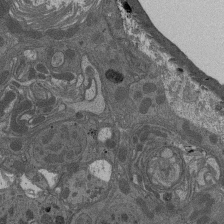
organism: Drosophila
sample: Antenna